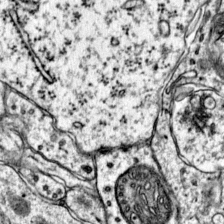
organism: Mouse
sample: Primary visual cortex